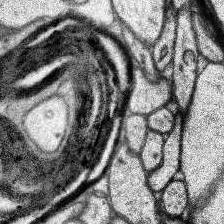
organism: Human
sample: Temporal Lobe